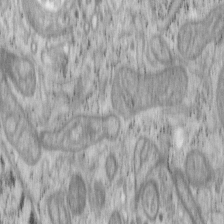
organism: Human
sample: HeLa cells